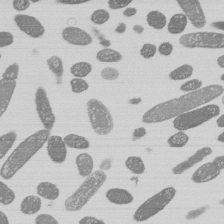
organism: E. coli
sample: Bacterial nucleoid